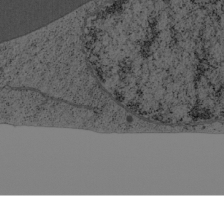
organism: African green monkey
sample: COS-7 cells